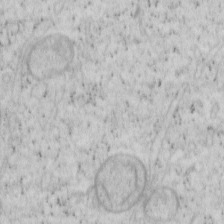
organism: Human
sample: HeLa cells